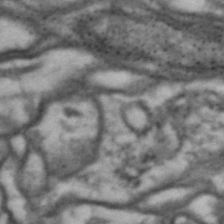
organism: Drosophila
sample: Brain